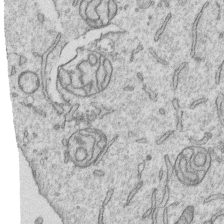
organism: Human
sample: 1205lu cells